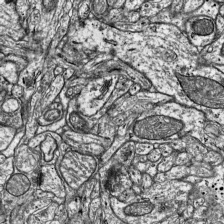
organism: Mouse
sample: Visual Cortex